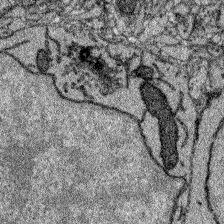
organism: Zebrafish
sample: Larval olfactory bulb